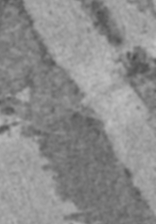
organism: C57BL Mouse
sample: Heart